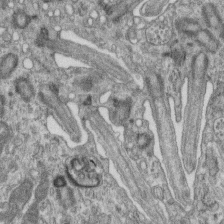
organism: Mouse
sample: Centriole in ependymal cells